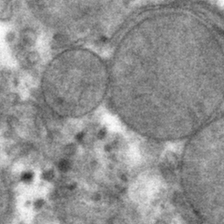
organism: Mouse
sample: Mouse hepatocytes